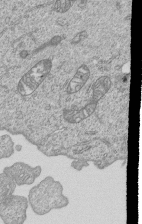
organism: Human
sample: MDA-MB-231 cells